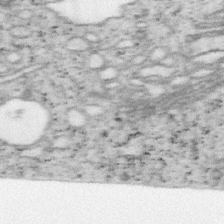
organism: Mouse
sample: OT-I killer T cells with ID8 ovarian cancer cells